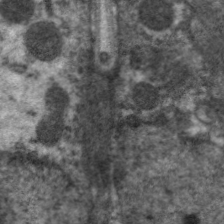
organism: C. elegans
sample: Pharynx